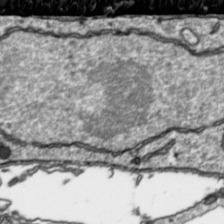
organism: Toxoplasma gondii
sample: Parasites in a vacuole inside a host cell